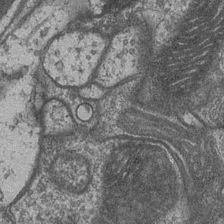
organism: Drosophila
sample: Optic medulla